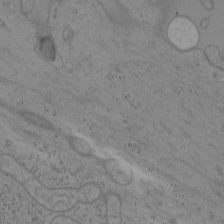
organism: Mouse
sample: OT-I killer T cells with ID8 ovarian cancer cells